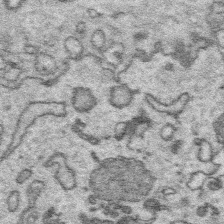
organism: Platynereis dumerilii